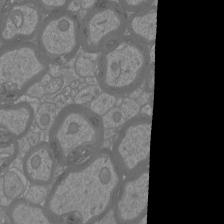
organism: Mouse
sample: Cortical neurons